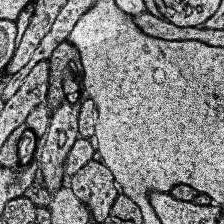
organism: Human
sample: Temporal Lobe